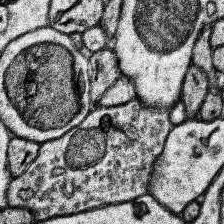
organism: Human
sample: Temporal Lobe